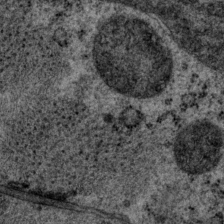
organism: P. pacificus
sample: Pharynx